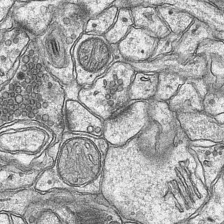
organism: Mouse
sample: CA1 Hippocampus